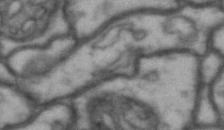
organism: Drosophila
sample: Brain